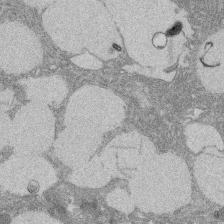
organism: Rat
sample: Salivary granule